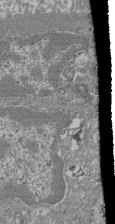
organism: Mouse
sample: Glomerulus